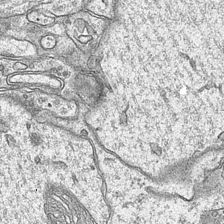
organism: Mouse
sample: CA1 Hippocampus